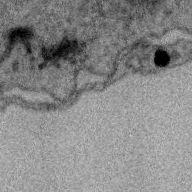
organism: Zebra finch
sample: Brain